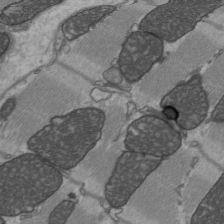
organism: C57BL Mouse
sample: Heart